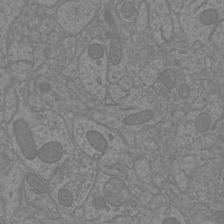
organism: Mouse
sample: Cortical neurons